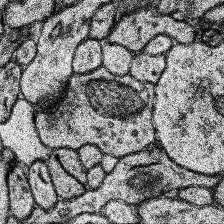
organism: Human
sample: Temporal Lobe